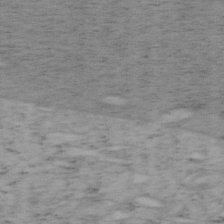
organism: Mouse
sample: OT-I killer T cells with ID8 ovarian cancer cells